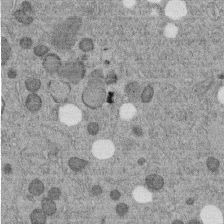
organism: C. elegans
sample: C. elegans embryo early stage